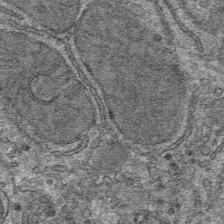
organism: Mouse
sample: Mouse hepatocytes